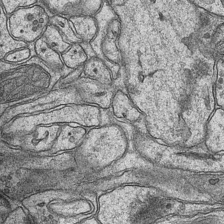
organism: Mouse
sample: CA1 Hippocampus